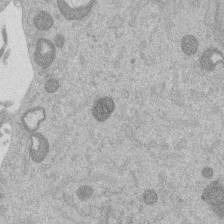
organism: Mouse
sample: Dividing mouse embryo 1 cell stage